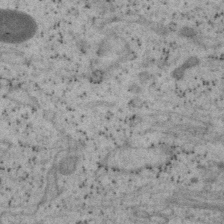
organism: Human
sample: HeLa cells